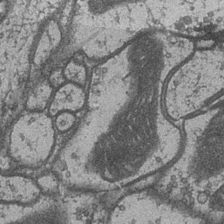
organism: Drosophila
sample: Optic medulla